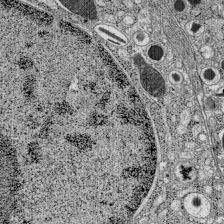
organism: C57BL Mouse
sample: Pancreatic islet